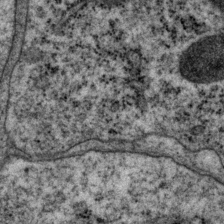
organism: P. pacificus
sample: Pharynx